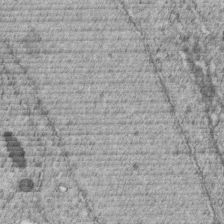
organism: C. elegans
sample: C. elegans embryo early stage